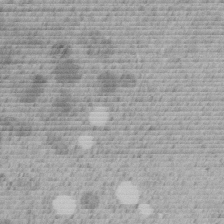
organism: C. elegans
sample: C. elegans embryo early stage